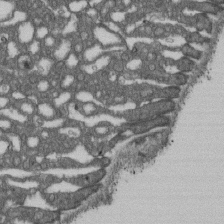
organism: Drosophila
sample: Nephrocyte